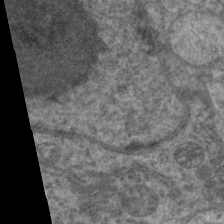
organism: C. elegans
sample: Pharynx